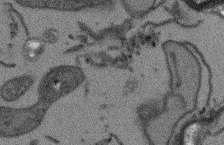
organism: Arabidopsis thaliana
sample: Root tip